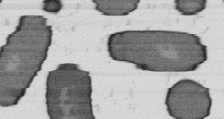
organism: B. subtilis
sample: Bacterial spore